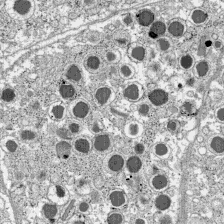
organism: C57BL Mouse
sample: Pancreatic islet